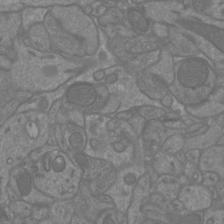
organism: Mouse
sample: Cortical neurons